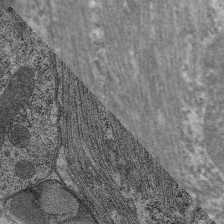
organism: C. elegans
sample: Pharynx